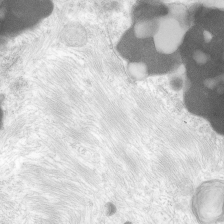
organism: Human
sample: Neocortex